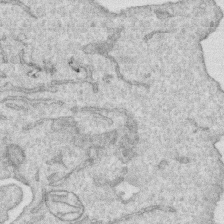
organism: Human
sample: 1205lu cells